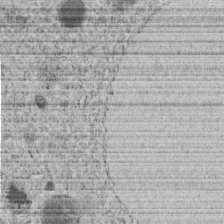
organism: C. elegans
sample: C. elegans embryo early stage